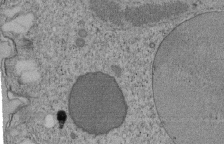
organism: Tetrahymena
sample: Cilia in tetrahymena